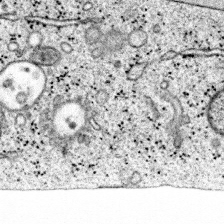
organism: Human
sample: HeLa cells